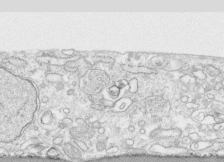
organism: Human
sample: CRL-1474